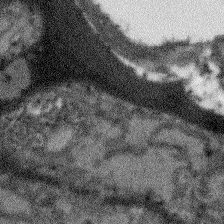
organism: Arabidopsis thaliana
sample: Root tip